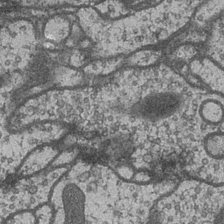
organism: Drosophila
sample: Optic medulla